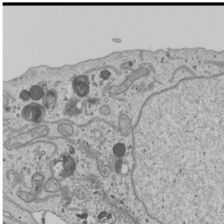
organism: Human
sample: Mitochondria in U2OS cells